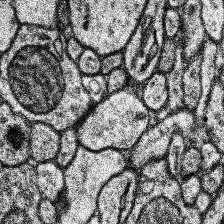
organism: Human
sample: Temporal Lobe